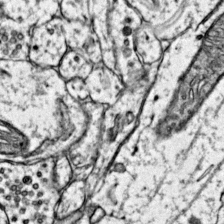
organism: Mouse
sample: Primary visual cortex